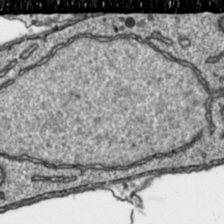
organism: Toxoplasma gondii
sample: Parasites in a vacuole inside a host cell